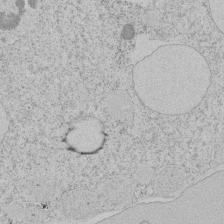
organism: Tetrahymena